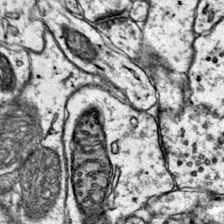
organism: Mouse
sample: Primary visual cortex